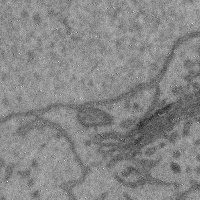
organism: Mouse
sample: Cerebral cortex